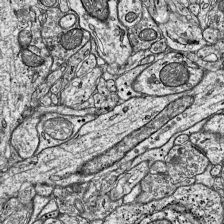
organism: Mouse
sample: Visual Cortex